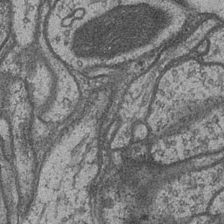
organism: Drosophila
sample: Optic medulla